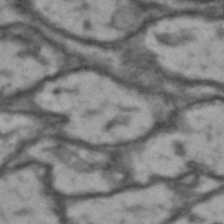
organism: Drosophila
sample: Brain